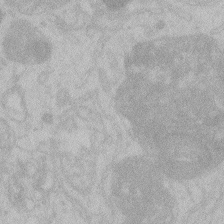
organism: Zebrafish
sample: Macrophage infected with Toxoplasma gondii